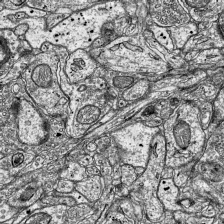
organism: Mouse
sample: Visual Cortex